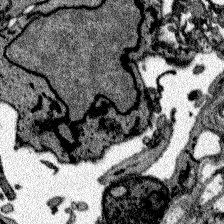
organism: Zebrafish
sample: Larval olfactory bulb